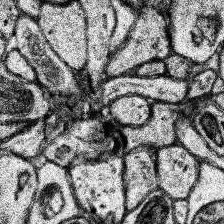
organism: Human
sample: Temporal Lobe